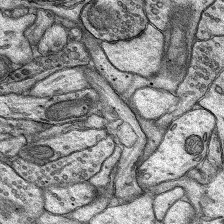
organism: Rat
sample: Hippocampus